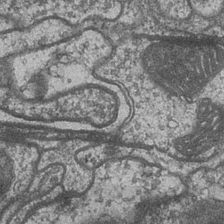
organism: Drosophila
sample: Optic medulla